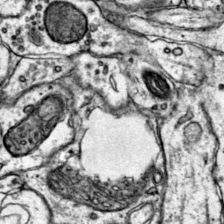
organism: Mouse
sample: Primary visual cortex